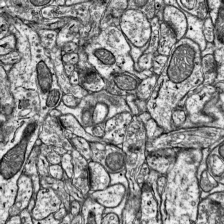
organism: Mouse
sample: Visual Cortex